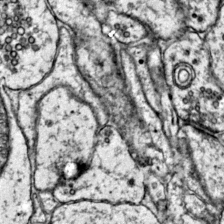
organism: Mouse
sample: Primary visual cortex